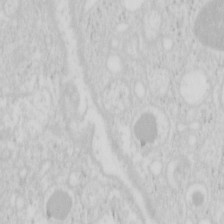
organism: Mouse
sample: Pancreas